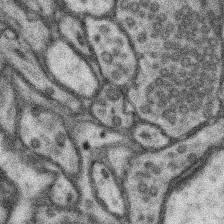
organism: Mouse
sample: Somatosensory cortex neuropil